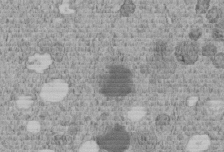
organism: C. elegans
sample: C. elegans embryo early stage